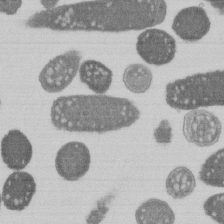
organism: E. coli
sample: Bacterial nucleoid